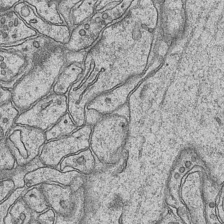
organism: Mouse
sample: CA1 Hippocampus